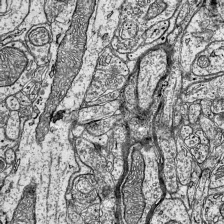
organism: Mouse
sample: Visual Cortex